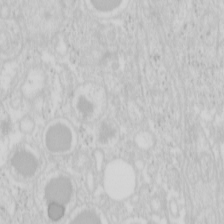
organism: Mouse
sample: Pancreas